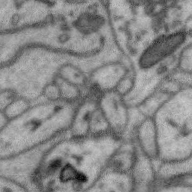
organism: Zebra finch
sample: Brain